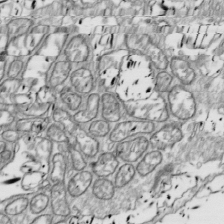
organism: Drosophila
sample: Cell division; meiosis; drosophila spermatocytes